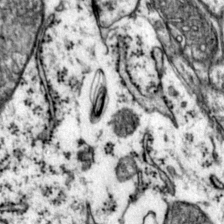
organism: Mouse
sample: Primary visual cortex